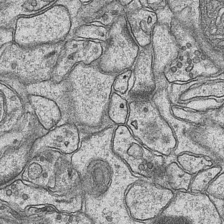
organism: Mouse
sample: CA1 Hippocampus